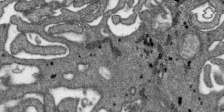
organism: Human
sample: Lung epithelial cells, uninfected (mock) control